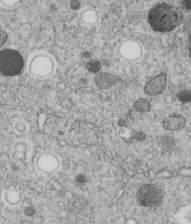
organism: C. elegans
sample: C. elegans embryo early stage